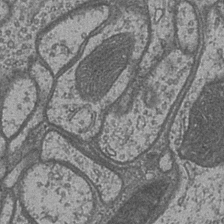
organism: Drosophila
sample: Optic medulla